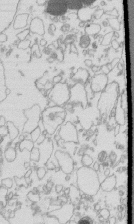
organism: Mouse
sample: Macrophages